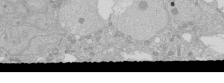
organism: Human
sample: Caco-2 cells